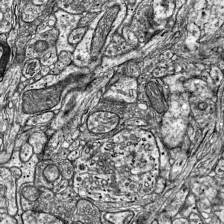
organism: Mouse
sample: Visual Cortex